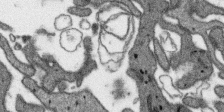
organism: Human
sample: Lung epithelial cells, uninfected (mock) control